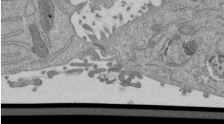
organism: Mouse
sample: ED-1 cell nuclei; centrioles